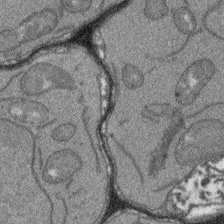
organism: Arabidopsis thaliana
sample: Root tip